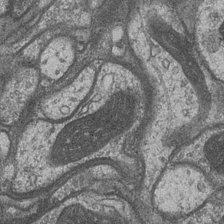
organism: Drosophila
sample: Optic medulla